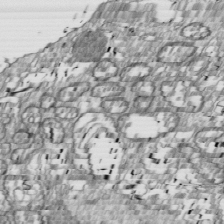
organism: Drosophila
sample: Cell division; meiosis; drosophila spermatocytes